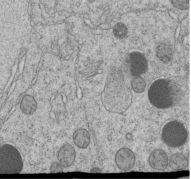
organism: C. elegans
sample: C. elegans embryo early stage